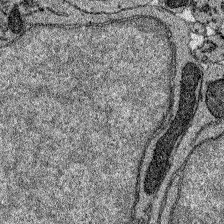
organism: Zebrafish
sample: Larval olfactory bulb